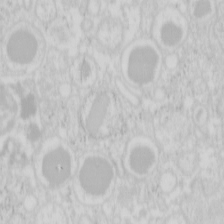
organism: Mouse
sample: Pancreas